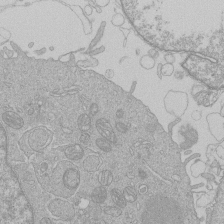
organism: Human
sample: Macrophage cells